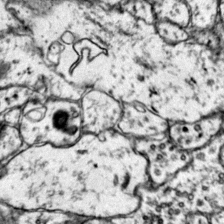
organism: Mouse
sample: Primary visual cortex